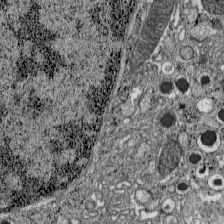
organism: C57BL Mouse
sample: Pancreatic islet